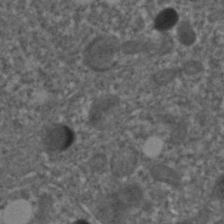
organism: C. elegans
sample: C. elegans embryo